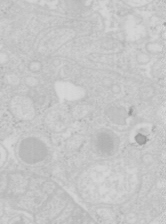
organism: Mouse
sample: Pancreas